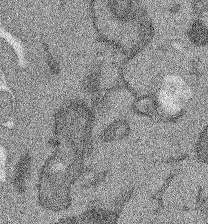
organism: Human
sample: HeLa cells